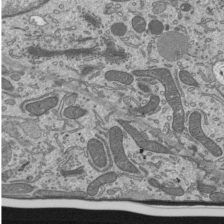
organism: Mouse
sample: Mouse epididymis efferent ductule cilia